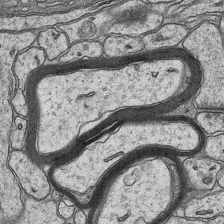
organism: Mouse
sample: CA1 Hippocampus